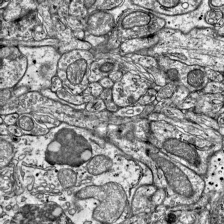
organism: Mouse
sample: Visual Cortex